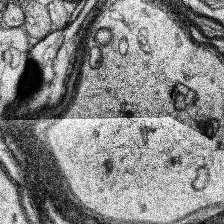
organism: Human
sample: Temporal Lobe